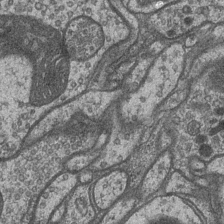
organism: Drosophila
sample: Optic medulla